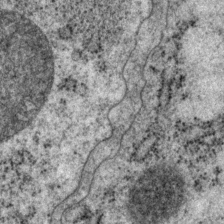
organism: P. pacificus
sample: Pharynx